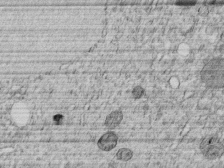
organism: C. elegans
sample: C. elegans embryo early stage